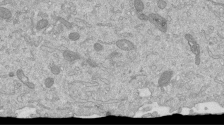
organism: Mouse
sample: ED-1 cell nuclei; centrioles